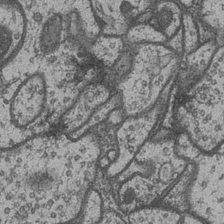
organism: Drosophila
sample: Optic medulla